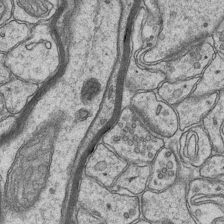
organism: Mouse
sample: CA1 Hippocampus